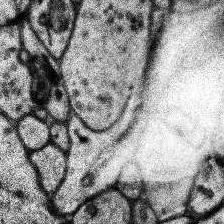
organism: Human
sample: Temporal Lobe